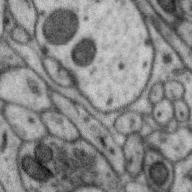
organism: Zebra finch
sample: Brain